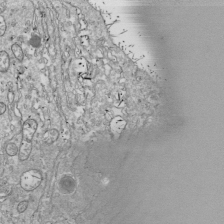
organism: Drosophila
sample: Cell division; meiosis; drosophila spermatocytes